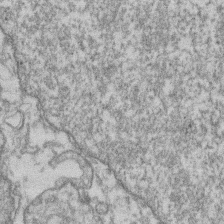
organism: Mouse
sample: T cell stromal cell synapse